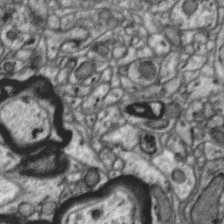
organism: Zebra finch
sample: Brain